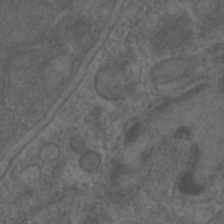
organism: C. elegans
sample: C. elegans embryo